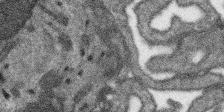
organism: Human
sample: Lung epithelial cells infected with SARS-CoV-2